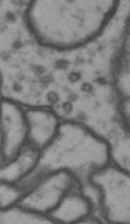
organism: Drosophila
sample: Brain